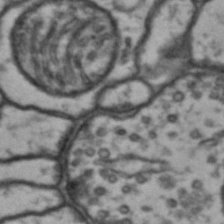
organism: Drosophila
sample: Brain